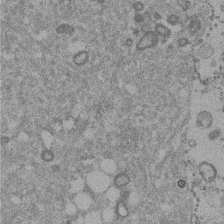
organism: Mouse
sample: Dividing mouse embryo 1 cell stage